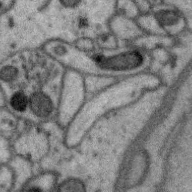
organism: Zebra finch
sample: Brain